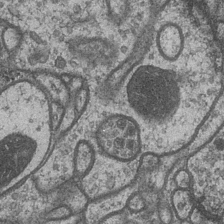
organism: Drosophila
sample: Optic medulla